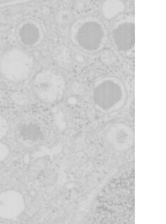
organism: Mouse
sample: Pancreas